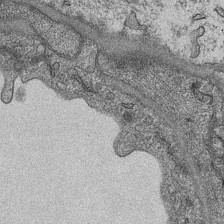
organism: Mouse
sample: CA1 Hippocampus